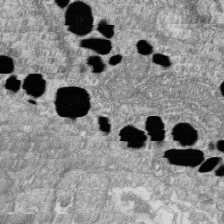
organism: Zebrafish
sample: Cilia; retinal pigment epithelium